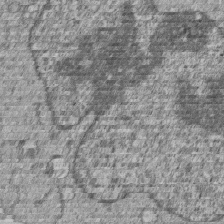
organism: Human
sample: MDA-MB-231 cells